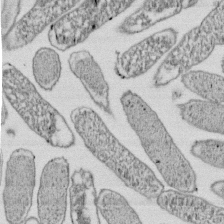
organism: E. coli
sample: Bacterial nucleoid